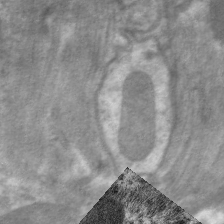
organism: C. elegans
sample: Pharynx